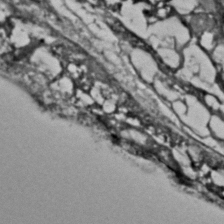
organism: C. elegans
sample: C. elegans embryo